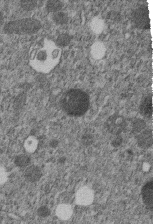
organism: C. elegans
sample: C. elegans embryo early stage